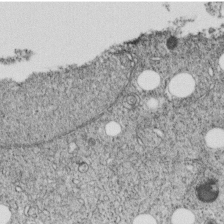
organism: C. elegans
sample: C. elegans embryo early stage